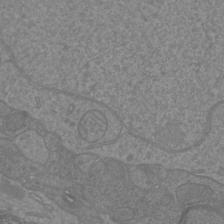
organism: Mouse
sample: Cortical neurons